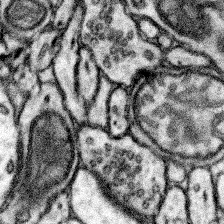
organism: Mouse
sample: Somatosensory cortex neuropil